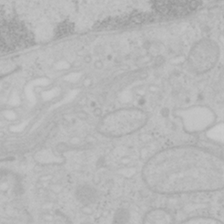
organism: Mouse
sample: OT-I killer T cells with ID8 ovarian cancer cells